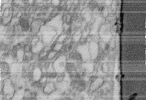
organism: Human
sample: Centriole in fibroblast cells